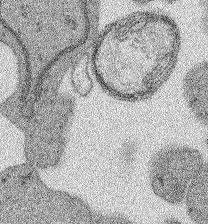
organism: Human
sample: HeLa cells